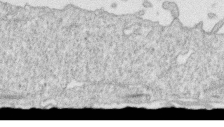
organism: Human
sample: HeLa cell HIV synapse